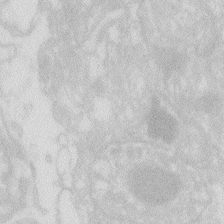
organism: Zebrafish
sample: Macrophage